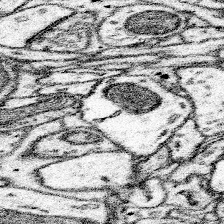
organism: Mouse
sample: Somatosensory cortex neuropil